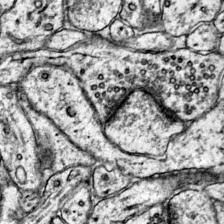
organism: Mouse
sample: Primary visual cortex